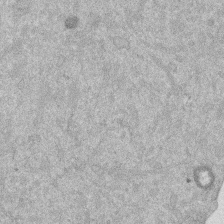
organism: Mouse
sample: Dividing mouse embryo 1 cell stage